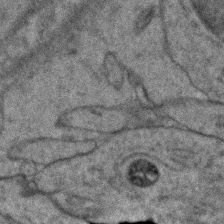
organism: Zebrafish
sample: Zebrafish embryo